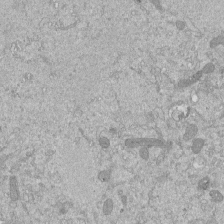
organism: Mouse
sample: ED-1 cell nuclei; centrioles